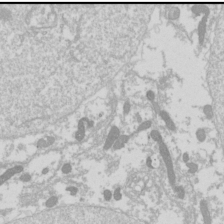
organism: Drosophila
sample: Cell division; meiosis; drosophila spermatocytes